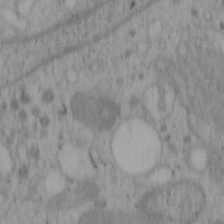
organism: Mouse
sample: OT-I killer T cells with ID8 ovarian cancer cells